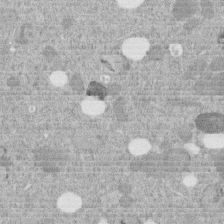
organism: C. elegans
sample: C. elegans embryo early stage